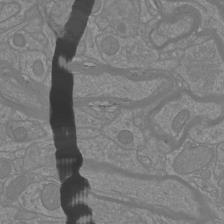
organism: Mouse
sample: Cortical neurons